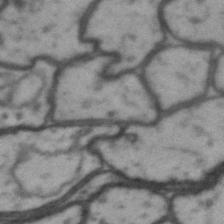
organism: Drosophila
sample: Brain